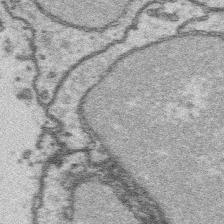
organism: Platynereis dumerilii